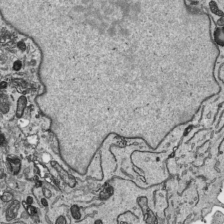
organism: Human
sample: Mitochondria in HCT116 cells